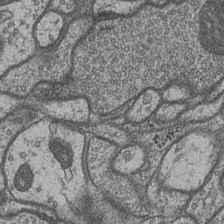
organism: Drosophila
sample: Optic medulla